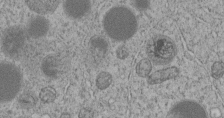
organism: C. elegans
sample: C. elegans embryo early stage